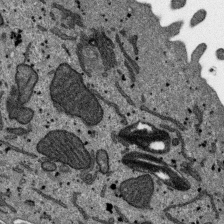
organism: Human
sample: Lung epithelial cells, uninfected (mock) control